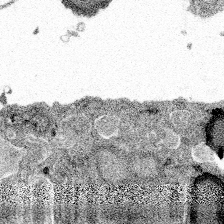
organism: Spongilla lacustris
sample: Multiple